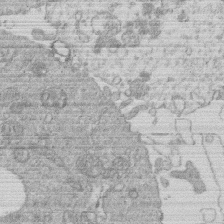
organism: Human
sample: Macrophage cells